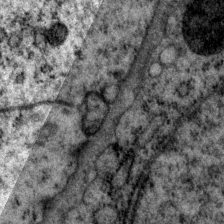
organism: P. pacificus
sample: Pharynx